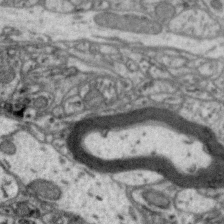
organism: Zebra finch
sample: Brain